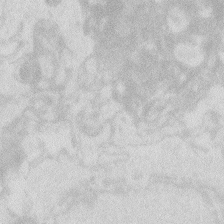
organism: Zebrafish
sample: Macrophage